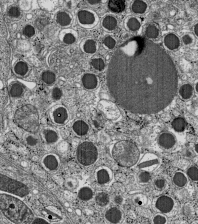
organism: C57BL Mouse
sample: Pancreatic islet